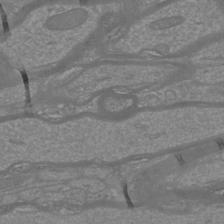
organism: Mouse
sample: Cortical neurons